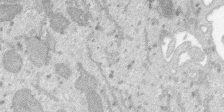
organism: Human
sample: Lung epithelial cells infected with SARS-CoV-2